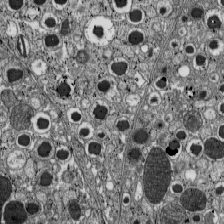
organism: C57BL Mouse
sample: Pancreatic islet